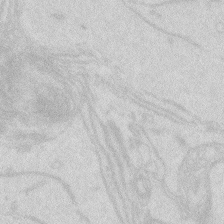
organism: Zebrafish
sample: Macrophage